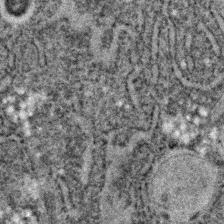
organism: C. elegans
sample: C. elegans embryo